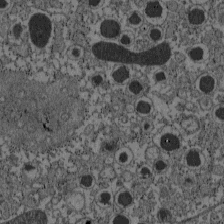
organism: C57BL Mouse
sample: Pancreatic islet